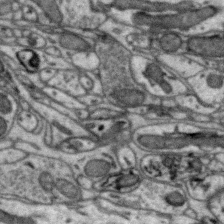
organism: Zebra finch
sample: Brain